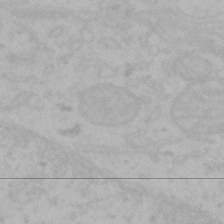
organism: Mouse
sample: Choroid plexus